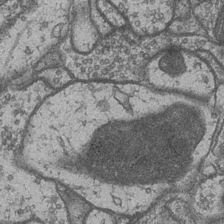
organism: Drosophila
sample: Optic medulla